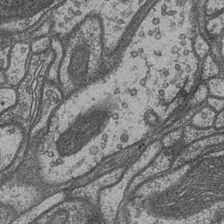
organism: Drosophila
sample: Optic medulla